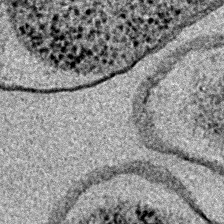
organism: E. coli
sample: E. Coli Bacteria